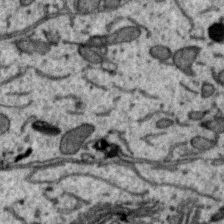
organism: Zebra finch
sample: Brain